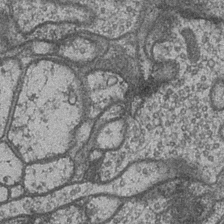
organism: Drosophila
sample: Optic medulla